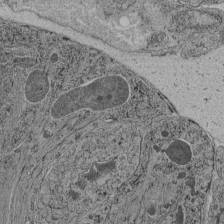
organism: C. elegans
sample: C. elegans pharynx